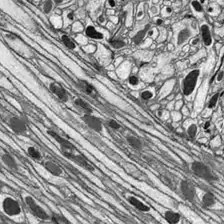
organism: Drosophila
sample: Optic lobe